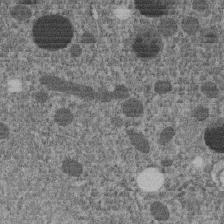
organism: C. elegans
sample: C. elegans embryo early stage